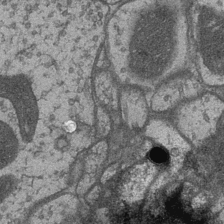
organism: Drosophila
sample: Optic medulla